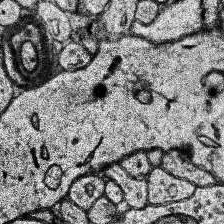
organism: Human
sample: Temporal Lobe